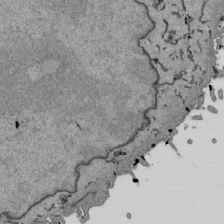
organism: Mouse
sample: ED-1 cell nuclei; centrioles